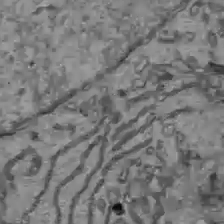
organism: C57BL Mouse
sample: Liver